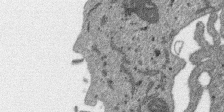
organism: Human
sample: Lung epithelial cells infected with SARS-CoV-2